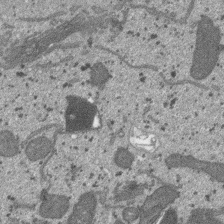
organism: Human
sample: Lung epithelial cells infected with SARS-CoV-2